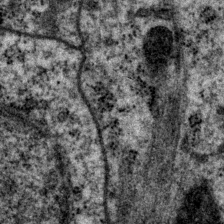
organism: P. pacificus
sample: Pharynx